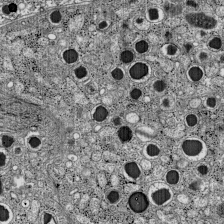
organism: C57BL Mouse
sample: Pancreatic islet